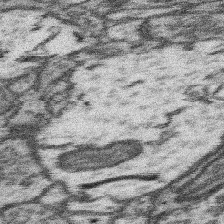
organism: Mouse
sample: Somatosensory cortex neuropil